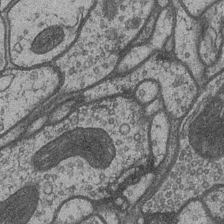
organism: Drosophila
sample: Optic medulla